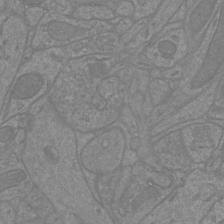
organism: Mouse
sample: Cortical neurons